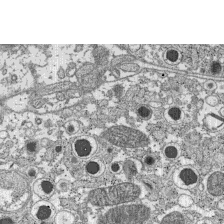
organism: C57BL Mouse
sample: Pancreatic islet